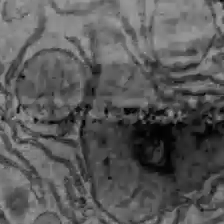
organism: C57BL Mouse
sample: Liver